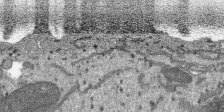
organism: Human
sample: Lung epithelial cells infected with SARS-CoV-2